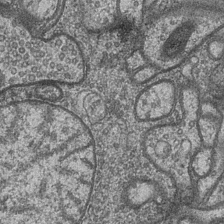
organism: Drosophila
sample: Optic medulla